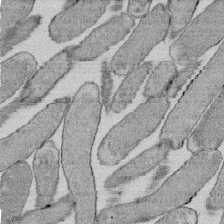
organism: E. coli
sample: Bacterial nucleoid